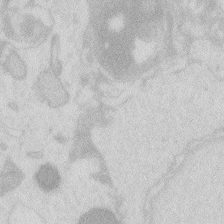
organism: Zebrafish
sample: Macrophage